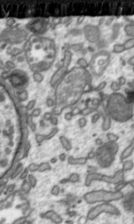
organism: Toxoplasma gondii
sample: Parasites in a vacuole inside a host cell